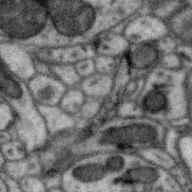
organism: Zebra finch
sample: Brain